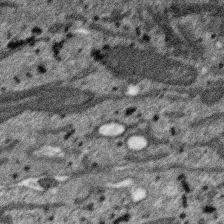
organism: Human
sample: Lung epithelial cells infected with SARS-CoV-2